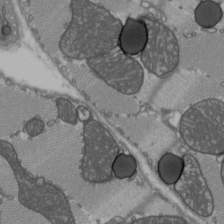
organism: C57BL Mouse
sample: Heart